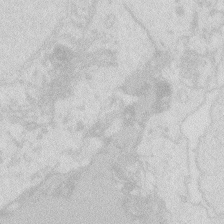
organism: Zebrafish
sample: Macrophage